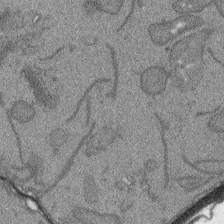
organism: Arabidopsis thaliana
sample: Root tip